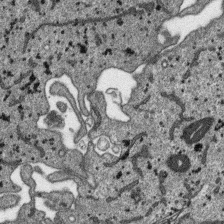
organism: Human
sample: Lung epithelial cells infected with SARS-CoV-2